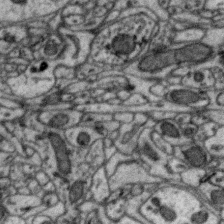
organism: Zebra finch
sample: Brain